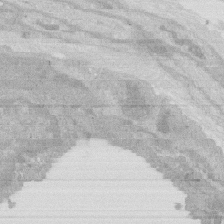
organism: Rat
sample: Salivary granule